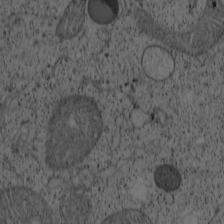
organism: African green monkey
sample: COS-7 cells